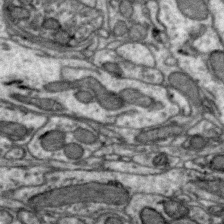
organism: Zebra finch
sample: Brain